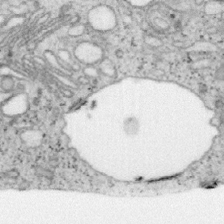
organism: Mouse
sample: OT-I killer T cells with ID8 ovarian cancer cells